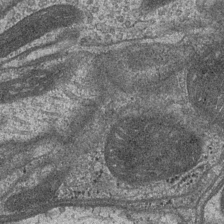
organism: Drosophila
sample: Optic medulla